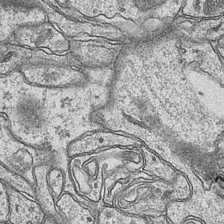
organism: Mouse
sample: CA1 Hippocampus